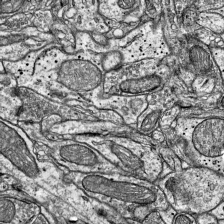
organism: Mouse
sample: Visual Cortex